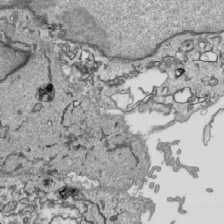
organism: Human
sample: Mitochondria in HCT116 cells